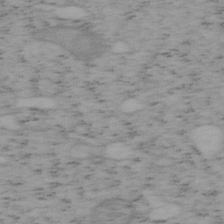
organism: Mouse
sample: OT-I killer T cells with ID8 ovarian cancer cells